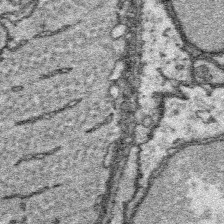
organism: Platynereis dumerilii